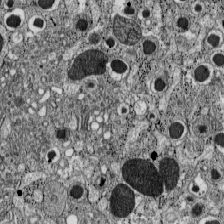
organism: C57BL Mouse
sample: Pancreatic islet